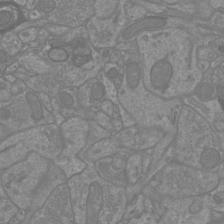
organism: Mouse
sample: Cortical neurons